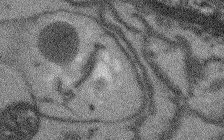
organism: Arabidopsis thaliana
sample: Root tip